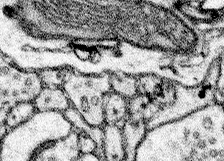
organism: Mouse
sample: Somatosensory cortex neuropil